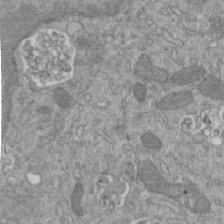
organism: Mouse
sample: ED-1 cell nuclei; centrioles